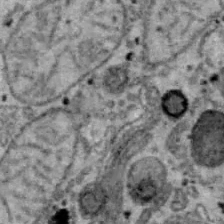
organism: Mouse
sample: Liver from an obese (ob/ob) mouse